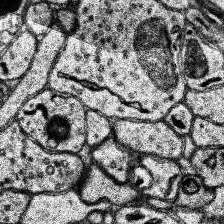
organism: Human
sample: Temporal Lobe